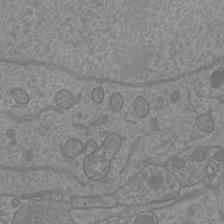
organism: Mouse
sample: Cortical neurons